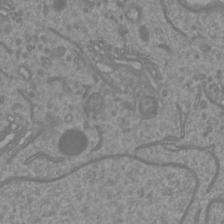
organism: Mouse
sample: Cortical neurons